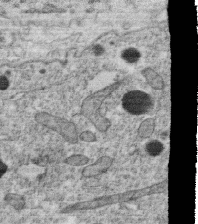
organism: C. elegans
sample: C. elegans oocyte; sperm cells